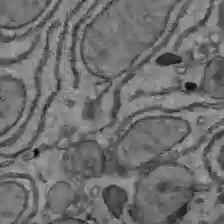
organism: C57BL Mouse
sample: Liver